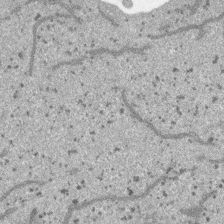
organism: Human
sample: Lung epithelial cells infected with SARS-CoV-2